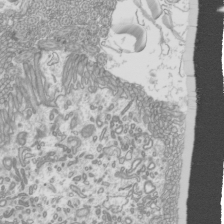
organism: Mouse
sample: Cilia; mouse epididymis